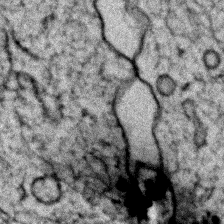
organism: Zebrafish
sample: Zebrafish embryo